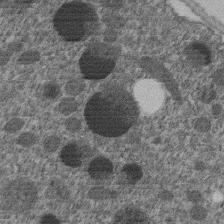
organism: C. elegans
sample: C. elegans embryo early stage